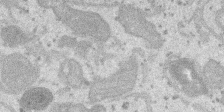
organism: Human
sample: Lung epithelial cells infected with SARS-CoV-2